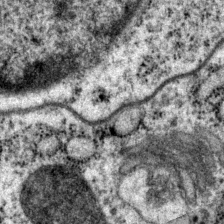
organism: P. pacificus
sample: Pharynx